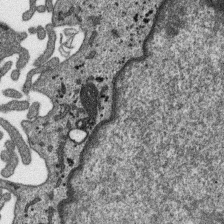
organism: Human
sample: Lung epithelial cells infected with SARS-CoV-2